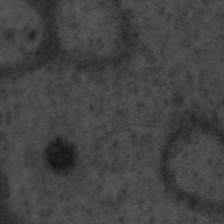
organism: Tuwongella immobilis